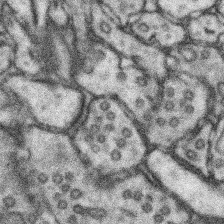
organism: Mouse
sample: Somatosensory cortex neuropil